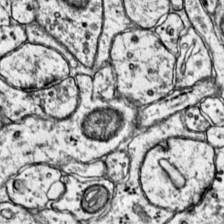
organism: Mouse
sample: Primary visual cortex